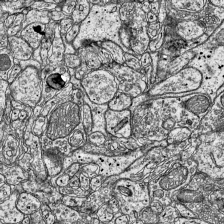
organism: Mouse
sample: Visual Cortex